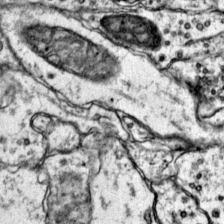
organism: Mouse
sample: Primary visual cortex